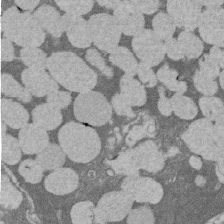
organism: Rat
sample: Salivary granule